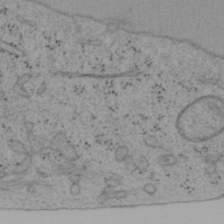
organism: Human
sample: HeLa cells